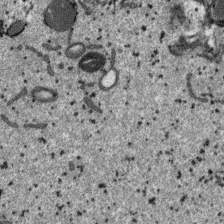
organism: Human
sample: Lung epithelial cells infected with SARS-CoV-2